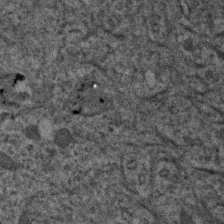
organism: Human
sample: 1205lu cells